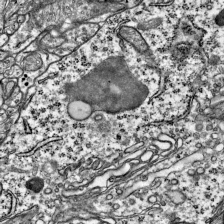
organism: Mouse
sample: Visual Cortex